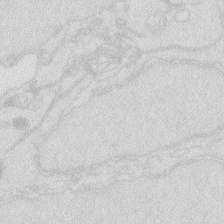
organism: Zebrafish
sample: Macrophage